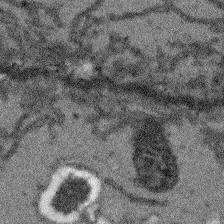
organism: Arabidopsis thaliana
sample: Root tip